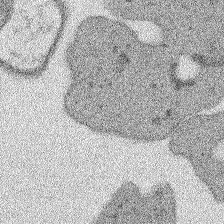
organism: Human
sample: HeLa cells